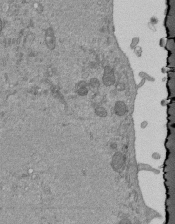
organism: Mouse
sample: ED-1 cell nuclei; centrioles